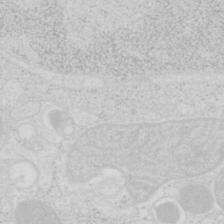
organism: Mouse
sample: Pancreas